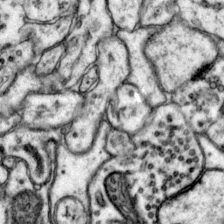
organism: Mouse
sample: Primary visual cortex